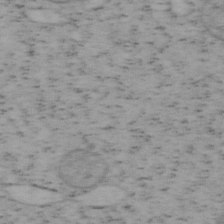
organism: Mouse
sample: OT-I killer T cells with ID8 ovarian cancer cells